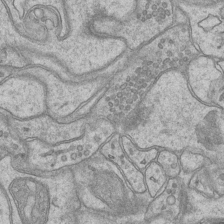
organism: Mouse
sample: CA1 Hippocampus